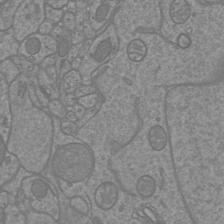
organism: Mouse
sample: Cortical neurons